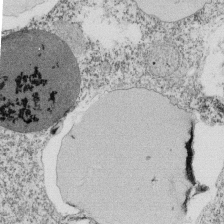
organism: Tetrahymena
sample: Cilia in tetrahymena